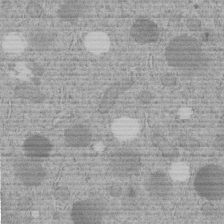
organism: C. elegans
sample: C. elegans embryo early stage